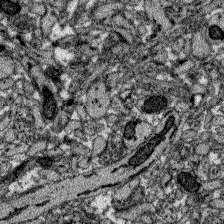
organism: Zebrafish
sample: Larval olfactory bulb